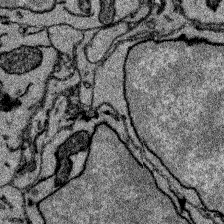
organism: Zebrafish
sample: Larval olfactory bulb